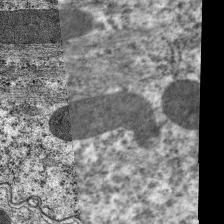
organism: C. elegans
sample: Pharynx